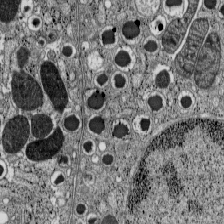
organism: C57BL Mouse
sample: Pancreatic islet